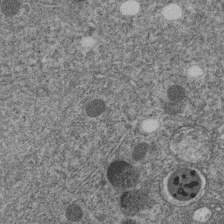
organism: C. elegans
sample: C. elegans embryo early stage